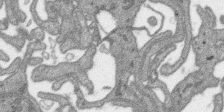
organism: Human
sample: Lung epithelial cells infected with SARS-CoV-2